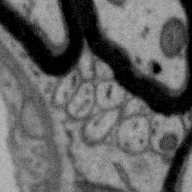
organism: Zebra finch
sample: Brain